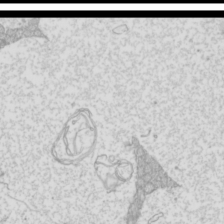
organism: Mouse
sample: Cilia; mouse epididymis